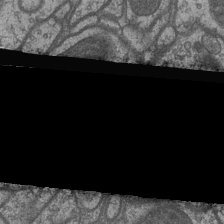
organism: Drosophila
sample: Optic medulla